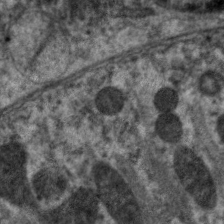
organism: C. elegans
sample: Pharynx